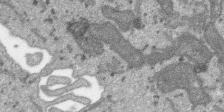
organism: Human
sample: Lung epithelial cells infected with SARS-CoV-2